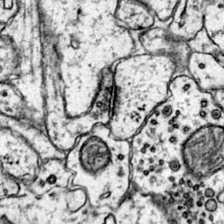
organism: Mouse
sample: Primary visual cortex